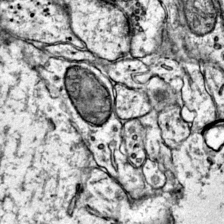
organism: Mouse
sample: Primary visual cortex